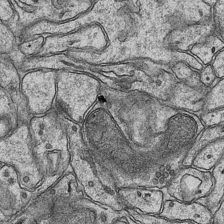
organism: Mouse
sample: CA1 Hippocampus